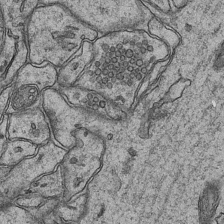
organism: Mouse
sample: CA1 Hippocampus